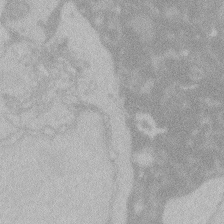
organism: Zebrafish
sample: Macrophage infected with Toxoplasma gondii